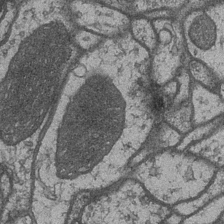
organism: Drosophila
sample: Optic medulla